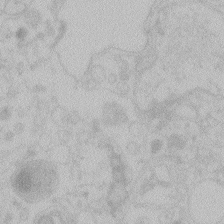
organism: Zebrafish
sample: Macrophage infected with Toxoplasma gondii